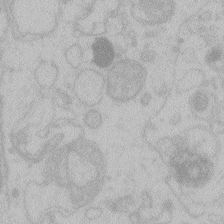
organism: Zebrafish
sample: Macrophage infected with Toxoplasma gondii